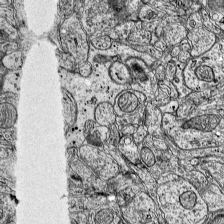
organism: Mouse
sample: Visual Cortex